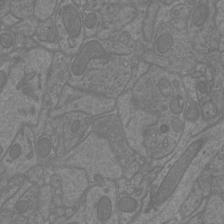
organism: Mouse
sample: Cortical neurons